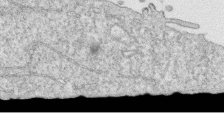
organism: Human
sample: HeLa cell HIV synapse